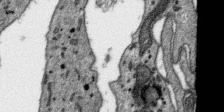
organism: Human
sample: Lung epithelial cells, uninfected (mock) control